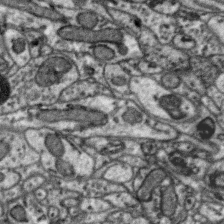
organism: Zebra finch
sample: Brain